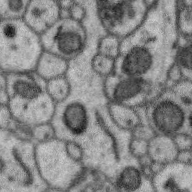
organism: Zebra finch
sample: Brain